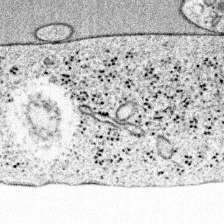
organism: Human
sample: HeLa cells